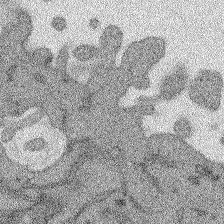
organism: Human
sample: HeLa cells